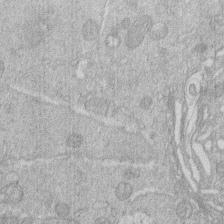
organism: Human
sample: Macrophage cells